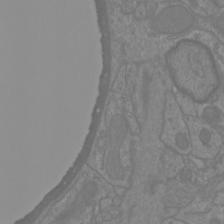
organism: Mouse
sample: Cortical neurons